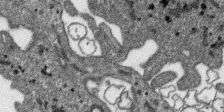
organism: Human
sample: Lung epithelial cells infected with SARS-CoV-2